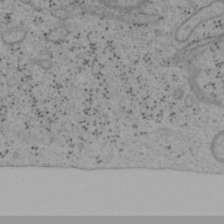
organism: Human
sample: HeLa cells